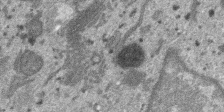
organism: Human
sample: Lung epithelial cells infected with SARS-CoV-2